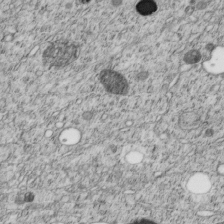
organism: C. elegans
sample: C. elegans embryo early stage